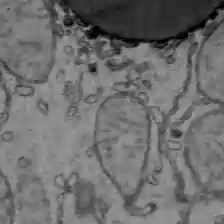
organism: C57BL Mouse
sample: Liver